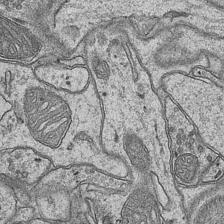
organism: Mouse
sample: CA1 Hippocampus